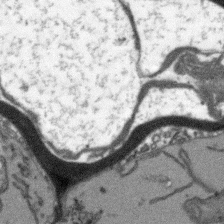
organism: Arabidopsis thaliana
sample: Root tip